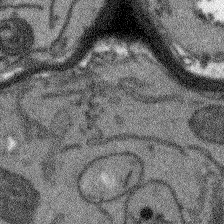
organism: Arabidopsis thaliana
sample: Root tip